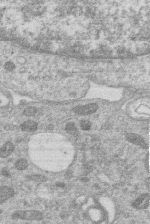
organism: Human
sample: Macrophage cells